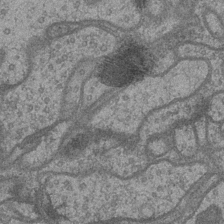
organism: Drosophila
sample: Optic medulla